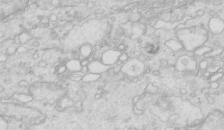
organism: Mouse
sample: Multiciliated cells